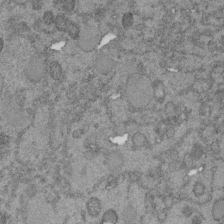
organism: C. elegans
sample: C. elegans embryo early stage